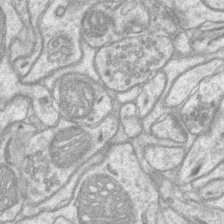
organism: Mouse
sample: CA1 Hippocampus